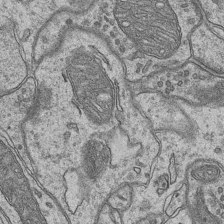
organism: Mouse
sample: CA1 Hippocampus